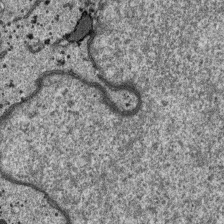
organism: Human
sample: Lung epithelial cells infected with SARS-CoV-2